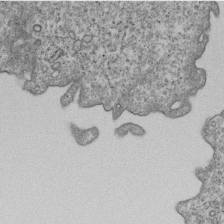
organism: Human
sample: MDA-MB-231 cells